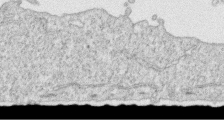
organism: Human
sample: HeLa cell HIV synapse